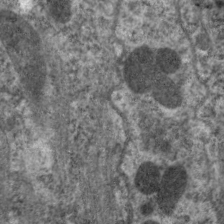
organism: C. elegans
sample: Pharynx